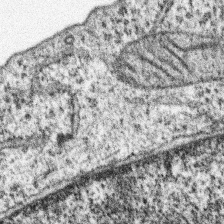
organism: Human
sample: HeLa cells